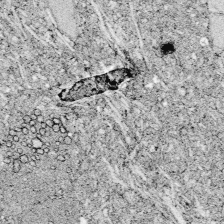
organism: Zebrafish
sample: Whole-Brain